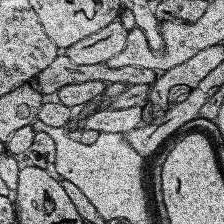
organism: Human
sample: Temporal Lobe